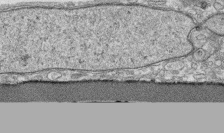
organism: Human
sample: CRL-1474